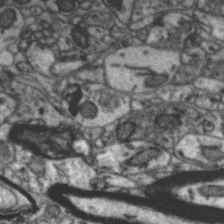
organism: Zebra finch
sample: Brain